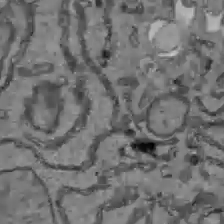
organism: C57BL Mouse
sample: Liver